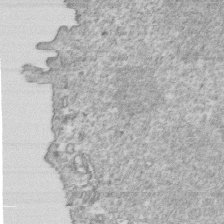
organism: Mouse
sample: Activated OT-1 CD8+ T cells